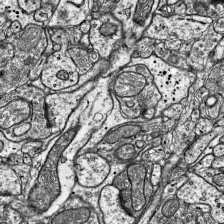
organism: Mouse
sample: Visual Cortex